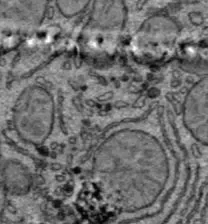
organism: C57BL Mouse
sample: Liver